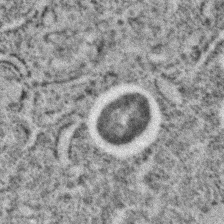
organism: C. elegans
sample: C. elegans embryo